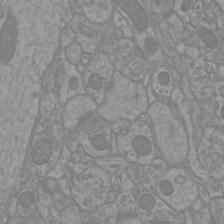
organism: Mouse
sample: Cortical neurons